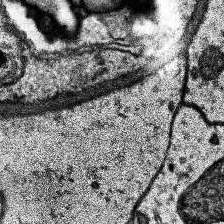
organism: Human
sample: Temporal Lobe